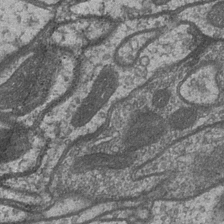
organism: Drosophila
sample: Optic medulla